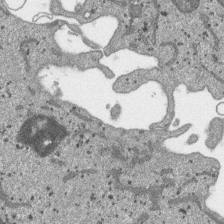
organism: Human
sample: Lung epithelial cells infected with SARS-CoV-2